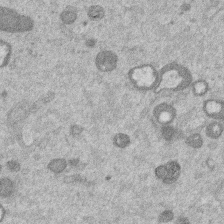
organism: Mouse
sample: Dividing mouse embryo 1 cell stage